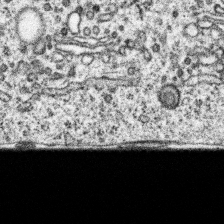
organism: Human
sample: HeLa cells